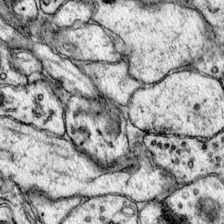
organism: Mouse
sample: Primary visual cortex